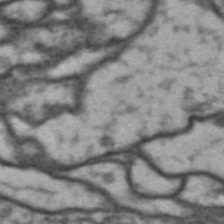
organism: Drosophila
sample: Brain